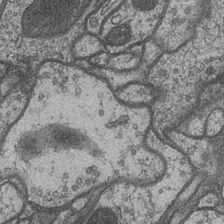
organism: Drosophila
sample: Optic medulla